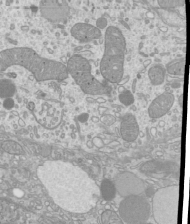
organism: Mouse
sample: Cilia; mouse epididymis